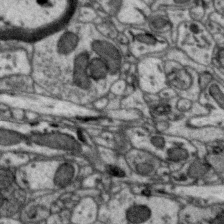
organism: Zebra finch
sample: Brain